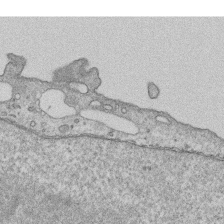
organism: Human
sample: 1205lu cells